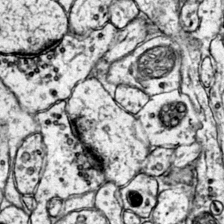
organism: Mouse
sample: Primary visual cortex